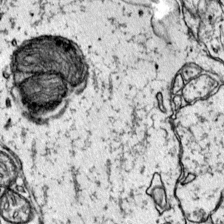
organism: Mouse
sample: Primary visual cortex